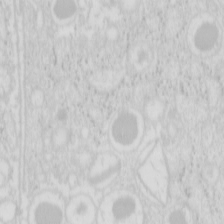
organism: Mouse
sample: Pancreas